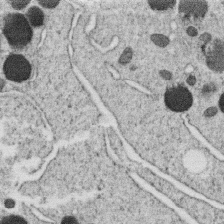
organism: C. elegans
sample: C. elegans oocyte; sperm cells